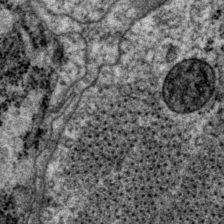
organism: P. pacificus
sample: Pharynx